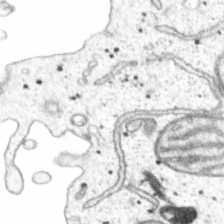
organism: Human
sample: HeLa cells